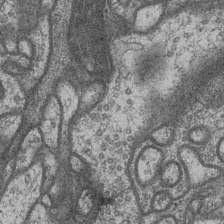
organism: Drosophila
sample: Optic medulla